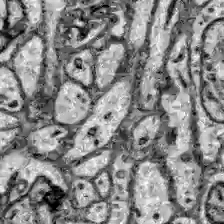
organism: Zebrafish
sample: Brain